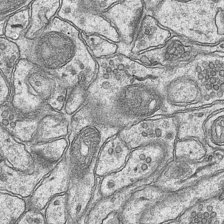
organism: Mouse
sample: CA1 Hippocampus